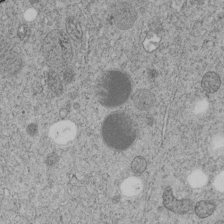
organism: C. elegans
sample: C. elegans embryo early stage